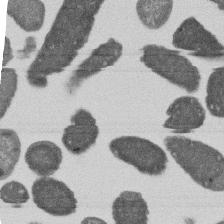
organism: E. coli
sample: Bacterial nucleoid